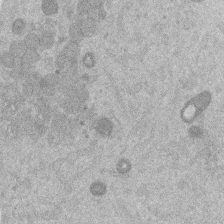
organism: Mouse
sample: Dividing mouse embryo 1 cell stage